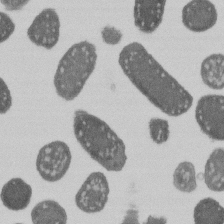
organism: E. coli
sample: Bacterial nucleoid